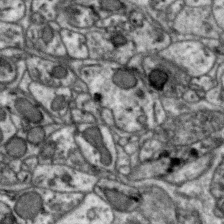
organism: Zebra finch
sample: Brain